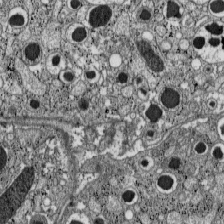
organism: C57BL Mouse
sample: Pancreatic islet